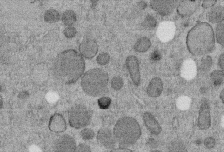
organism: C. elegans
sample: C. elegans embryo early stage